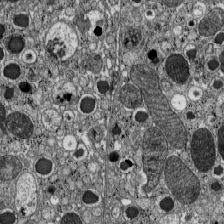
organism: C57BL Mouse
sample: Pancreatic islet